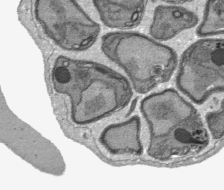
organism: Plasmodium falciparum